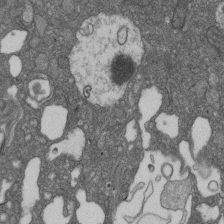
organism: Drosophila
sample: Nephrocyte